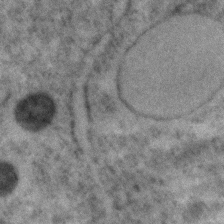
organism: C. elegans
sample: C. elegans embryo